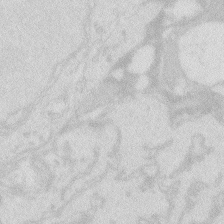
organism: Zebrafish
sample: Macrophage